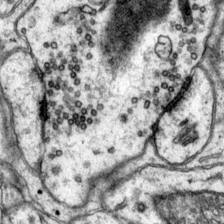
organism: Mouse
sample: Primary visual cortex